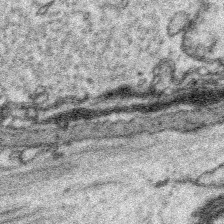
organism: Platynereis dumerilii